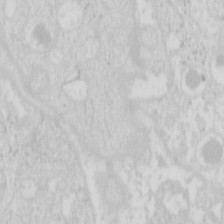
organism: Mouse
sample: Pancreas